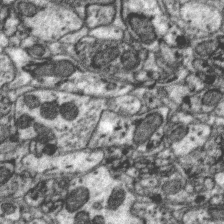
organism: Zebra finch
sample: Brain